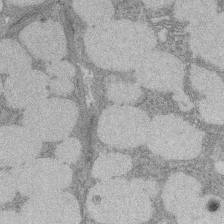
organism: Rat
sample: Salivary granule